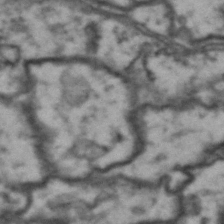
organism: Drosophila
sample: Brain